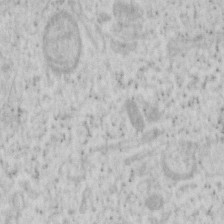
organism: Human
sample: HeLa cells